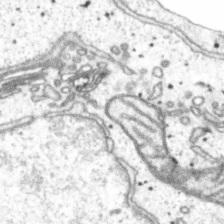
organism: Human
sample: HeLa cells